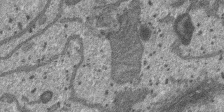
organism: Human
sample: Lung epithelial cells infected with SARS-CoV-2